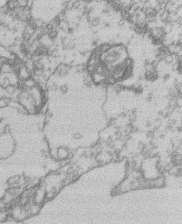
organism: Mouse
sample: T cell stromal cell synapse